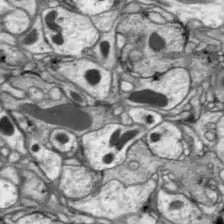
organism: Drosophila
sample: Optic lobe